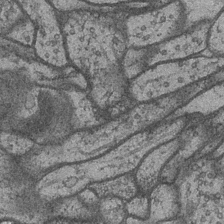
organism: Drosophila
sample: Optic medulla